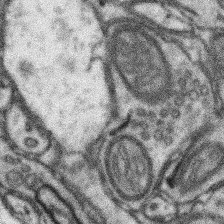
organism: Mouse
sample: Somatosensory cortex neuropil